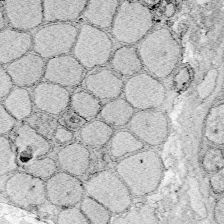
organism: Zebrafish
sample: Whole-Brain